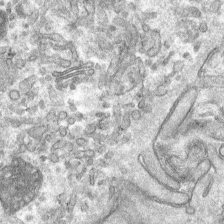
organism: Mouse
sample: Mouse hepatocytes